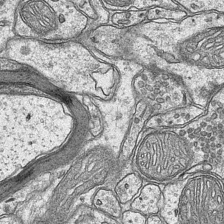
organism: Mouse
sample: CA1 Hippocampus